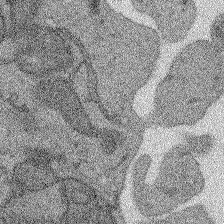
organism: Human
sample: HeLa cells